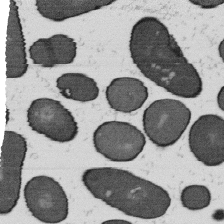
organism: B. subtilis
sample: Bacterial spore